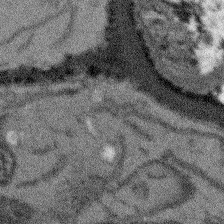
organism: Arabidopsis thaliana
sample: Root tip